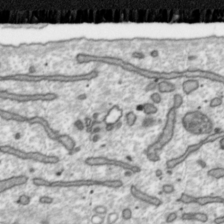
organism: Toxoplasma gondii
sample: Parasites in a vacuole inside a host cell